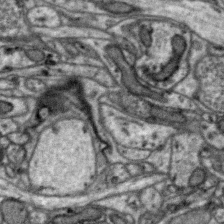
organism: Zebra finch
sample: Brain